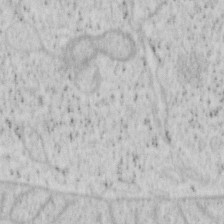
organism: Human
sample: HeLa cells